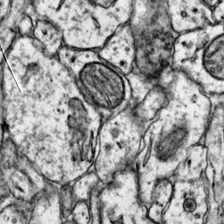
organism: Mouse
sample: Primary visual cortex